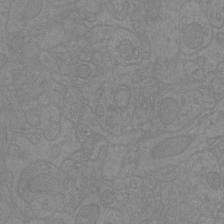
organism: Mouse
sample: Cortical neurons